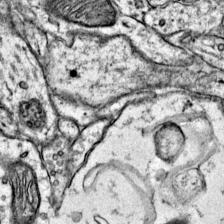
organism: Mouse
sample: Primary visual cortex